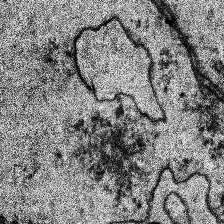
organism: Human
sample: Temporal Lobe